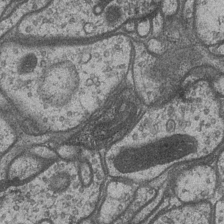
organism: Drosophila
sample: Optic medulla